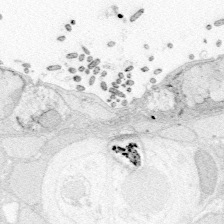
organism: Zebrafish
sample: Whole-Brain